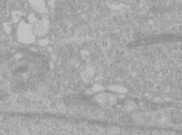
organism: Human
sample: Centriole in RPE cells